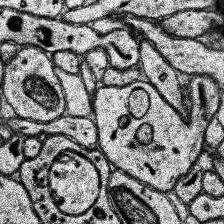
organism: Human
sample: Temporal Lobe